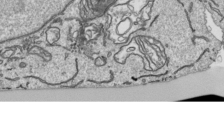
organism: Human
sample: Mitochondria in HCT116 cells